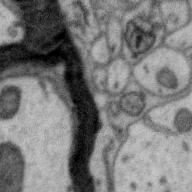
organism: Zebra finch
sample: Brain